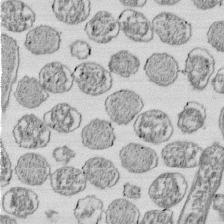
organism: E. coli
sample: Bacterial nucleoid